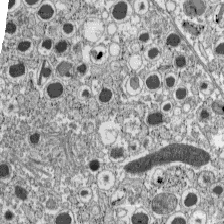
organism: C57BL Mouse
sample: Pancreatic islet